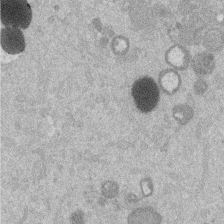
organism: Mouse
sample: Dividing mouse embryo 1 cell stage